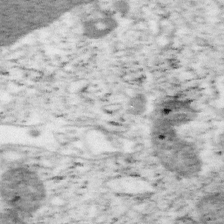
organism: Mouse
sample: OT-I killer T cells with ID8 ovarian cancer cells